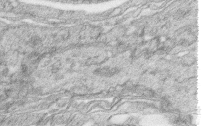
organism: Zebrafish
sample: synaptic ribbons in rod cells and cone cells